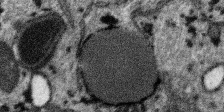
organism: Human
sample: Lung epithelial cells infected with SARS-CoV-2